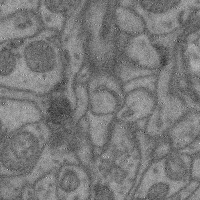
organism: Mouse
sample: Cerebral cortex